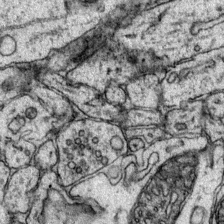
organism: Mouse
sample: Primary visual cortex